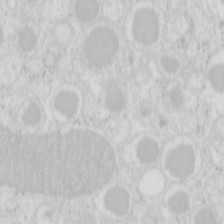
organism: Mouse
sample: Pancreas